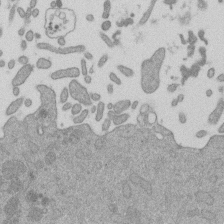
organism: Mouse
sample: Dividing mouse embryo 1 cell stage